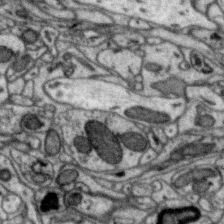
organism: Zebra finch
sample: Brain